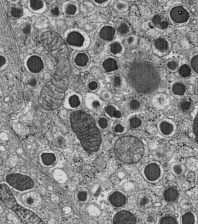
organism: C57BL Mouse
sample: Pancreatic islet